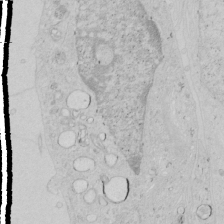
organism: Human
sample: Mitochondria in HCT116 cells